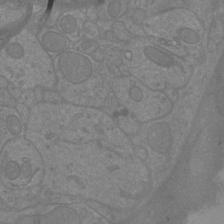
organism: Mouse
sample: Cortical neurons